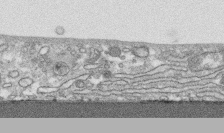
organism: Human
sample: CRL-1474